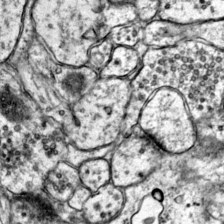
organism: Mouse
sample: Primary visual cortex